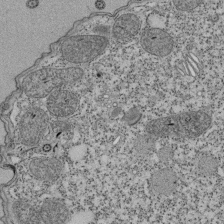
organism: Tetrahymena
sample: Cilia in tetrahymena